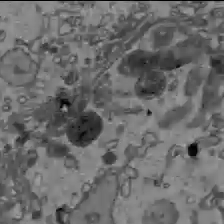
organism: C57BL Mouse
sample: Liver